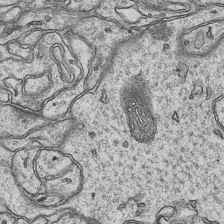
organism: Mouse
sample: CA1 Hippocampus